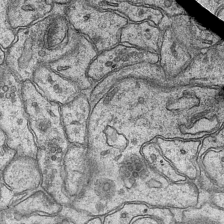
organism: Mouse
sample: CA1 Hippocampus